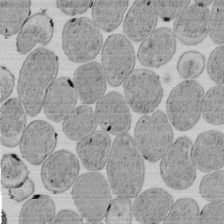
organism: E. coli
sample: Bacterial nucleoid